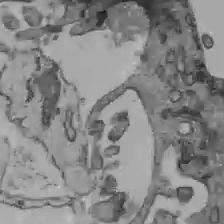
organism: C57BL Mouse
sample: Liver